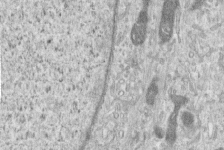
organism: Human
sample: Centriole in RPE cells